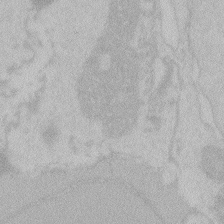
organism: Zebrafish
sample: Macrophage infected with Toxoplasma gondii